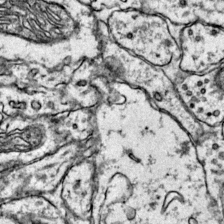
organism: Mouse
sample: Primary visual cortex